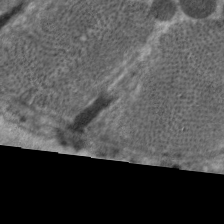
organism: C. elegans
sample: Pharynx